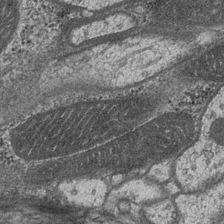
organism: Drosophila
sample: Optic medulla